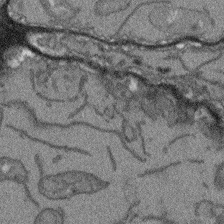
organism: Arabidopsis thaliana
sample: Root tip